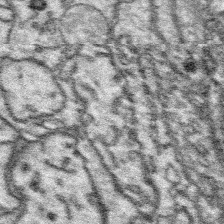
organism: Platynereis dumerilii